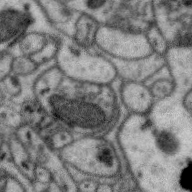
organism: Zebra finch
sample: Brain